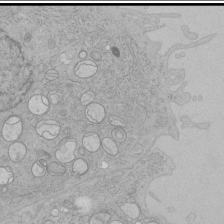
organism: Human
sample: Mitochondria in HCT116 cells